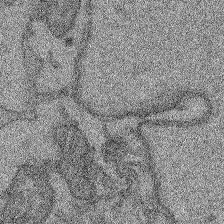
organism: Human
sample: HeLa cells